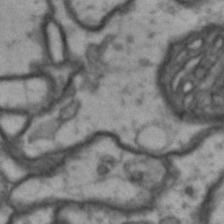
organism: Drosophila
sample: Brain